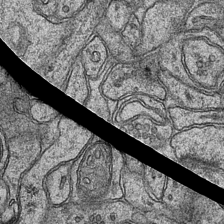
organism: Mouse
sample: CA1 Hippocampus